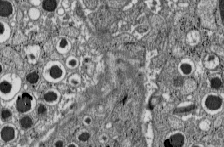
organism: C57BL Mouse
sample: Pancreatic islet